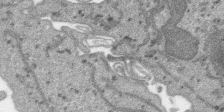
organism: Human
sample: Lung epithelial cells infected with SARS-CoV-2